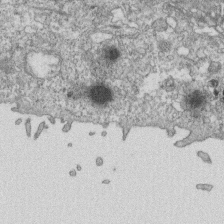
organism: Human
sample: HeLa cell HIV synapse